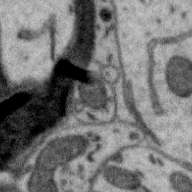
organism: Zebra finch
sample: Brain